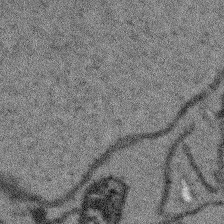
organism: Arabidopsis thaliana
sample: Root tip